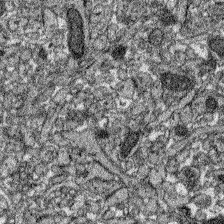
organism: Zebrafish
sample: Larval olfactory bulb